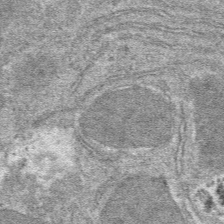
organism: Mouse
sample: Mouse hepatocytes